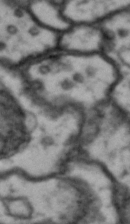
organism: Drosophila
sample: Brain